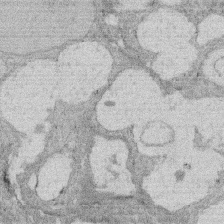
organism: Rat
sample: Salivary granule